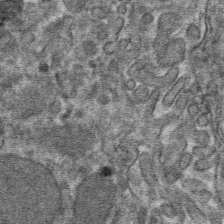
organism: Mouse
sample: Mouse hepatocytes